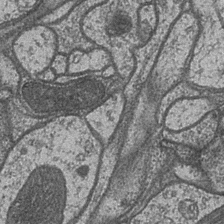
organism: Drosophila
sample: Optic medulla